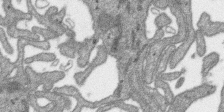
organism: Human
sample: Lung epithelial cells infected with SARS-CoV-2